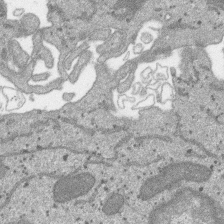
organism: Human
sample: Lung epithelial cells infected with SARS-CoV-2